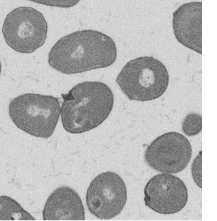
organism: B. subtilis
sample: Bacterial spore